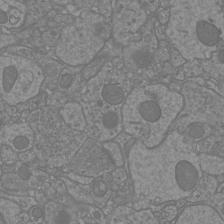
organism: Mouse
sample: Cortical neurons